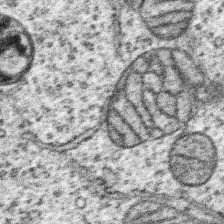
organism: Human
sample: HeLa cells